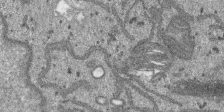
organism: Human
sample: Lung epithelial cells infected with SARS-CoV-2